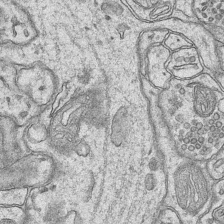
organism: Mouse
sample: CA1 Hippocampus